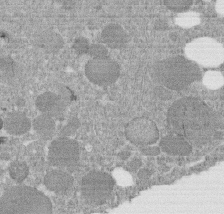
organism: C. elegans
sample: C. elegans embryo early stage